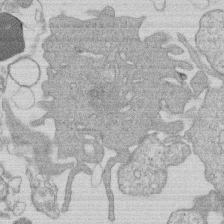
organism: Human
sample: Macrophage cells